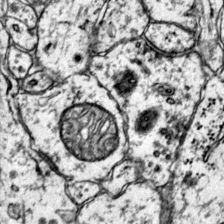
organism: Mouse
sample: Primary visual cortex